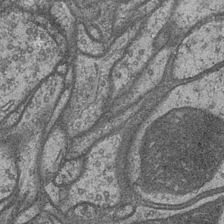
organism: Drosophila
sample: Optic medulla